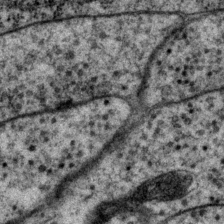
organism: P. pacificus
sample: Pharynx